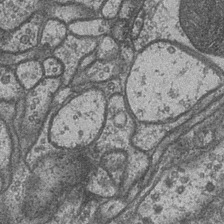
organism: Drosophila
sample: Optic medulla